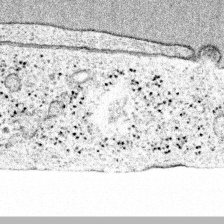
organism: Human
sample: HeLa cells